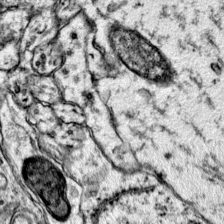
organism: Mouse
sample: Primary visual cortex